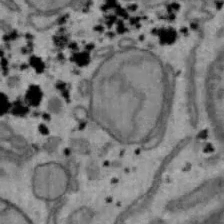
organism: Mouse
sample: Liver